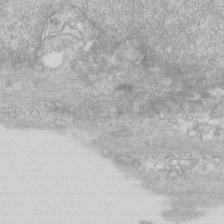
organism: Human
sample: Fibroblast cells